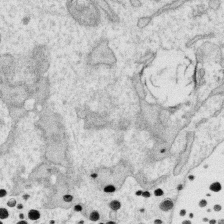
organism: Human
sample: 1205lu cells